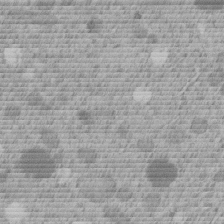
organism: C. elegans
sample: C. elegans embryo early stage